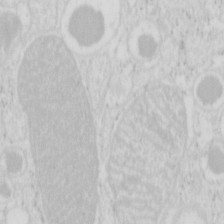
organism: Mouse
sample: Pancreas